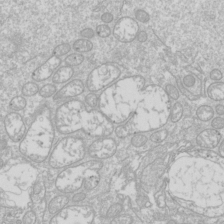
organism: Drosophila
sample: Cell division; meiosis; drosophila spermatocytes